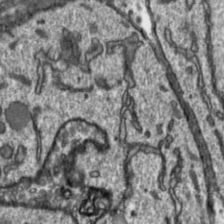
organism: Toxoplasma gondii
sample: Parasites in a vacuole inside a host cell